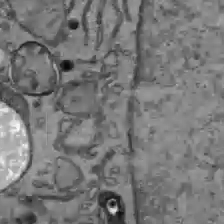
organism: C57BL Mouse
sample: Liver